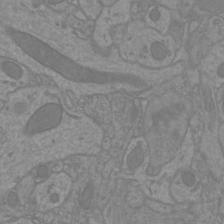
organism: Mouse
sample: Cortical neurons